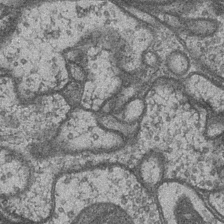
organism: Drosophila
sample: Optic medulla